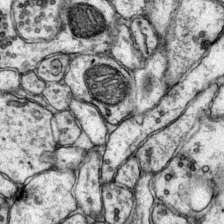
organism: Mouse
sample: Primary visual cortex